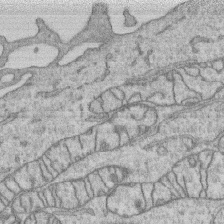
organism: Human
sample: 1205lu cells